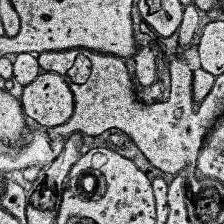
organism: Human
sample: Temporal Lobe